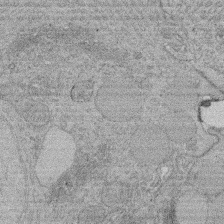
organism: Rat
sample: Salivary granule